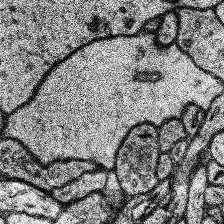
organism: Human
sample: Temporal Lobe